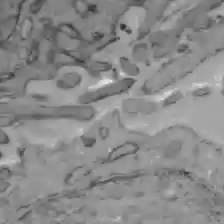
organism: C57BL Mouse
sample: Liver